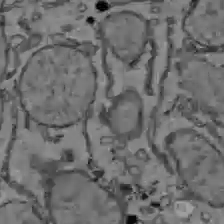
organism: C57BL Mouse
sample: Liver